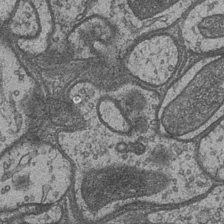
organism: Drosophila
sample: Optic medulla